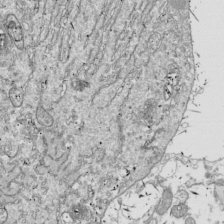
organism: Drosophila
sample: Cell division; meiosis; drosophila spermatocytes